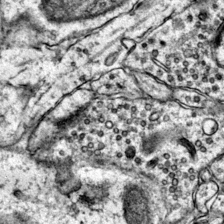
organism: Mouse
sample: Primary visual cortex